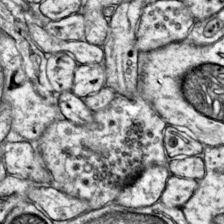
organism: Mouse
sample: Primary visual cortex